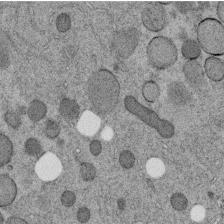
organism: C. elegans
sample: C. elegans embryo early stage